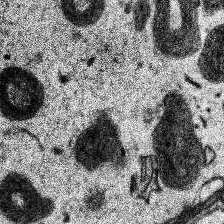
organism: Human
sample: Temporal Lobe